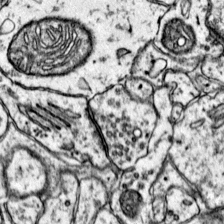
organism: Mouse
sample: Primary visual cortex